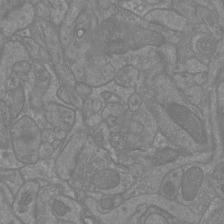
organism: Mouse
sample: Cortical neurons